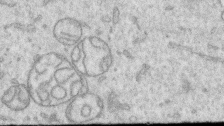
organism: Human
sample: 1205lu cells